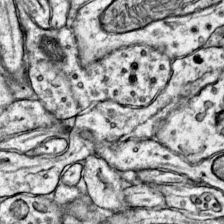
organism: Mouse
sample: Primary visual cortex